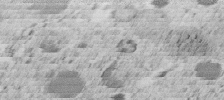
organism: C. elegans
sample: C. elegans embryo early stage